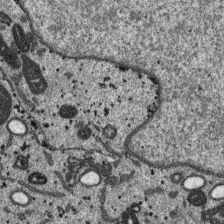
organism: Human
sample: Lung epithelial cells infected with SARS-CoV-2